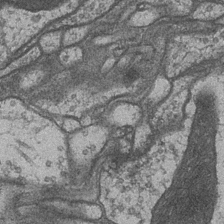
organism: Drosophila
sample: Optic medulla